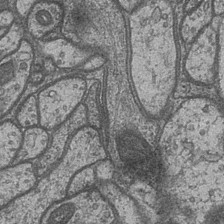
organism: Drosophila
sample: Optic medulla